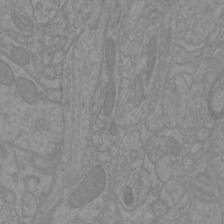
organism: Mouse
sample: Cortical neurons